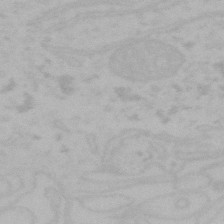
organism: Mouse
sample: Choroid plexus